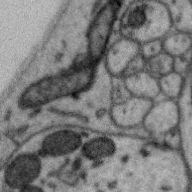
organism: Zebra finch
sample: Brain